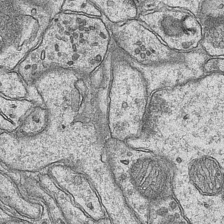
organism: Mouse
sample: CA1 Hippocampus